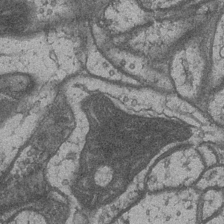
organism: Drosophila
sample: Optic medulla